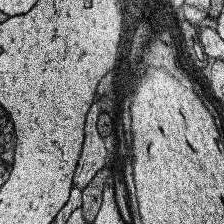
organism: Human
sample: Temporal Lobe